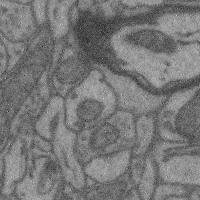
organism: Mouse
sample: Cerebral cortex